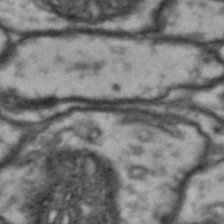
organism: Drosophila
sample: Brain